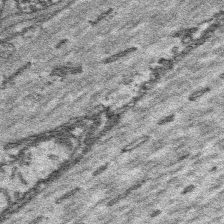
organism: Platynereis dumerilii